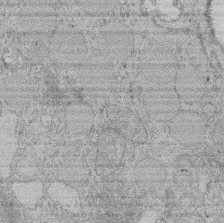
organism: Rat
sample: Salivary granule